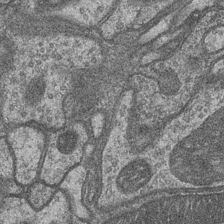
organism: Drosophila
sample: Optic medulla